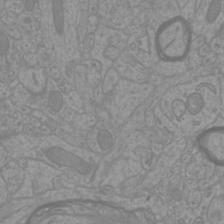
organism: Mouse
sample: Cortical neurons